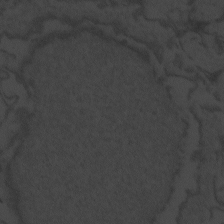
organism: Zebrafish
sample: Macrophage infected with Toxoplasma gondii